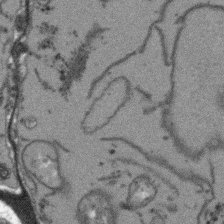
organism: Arabidopsis thaliana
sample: Root tip